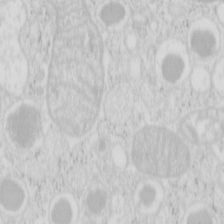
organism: Mouse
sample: Pancreas